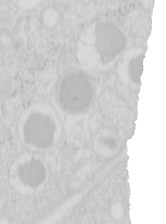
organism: Mouse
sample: Pancreas